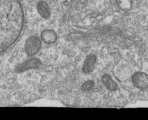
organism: Human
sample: Centriole in RPE cells